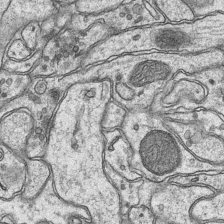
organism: Mouse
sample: CA1 Hippocampus